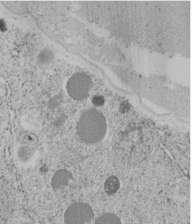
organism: C. elegans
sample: C. elegans embryo early stage